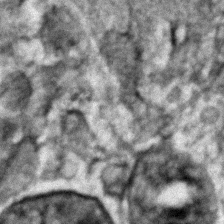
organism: Zebrafish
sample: Zebrafish embryo